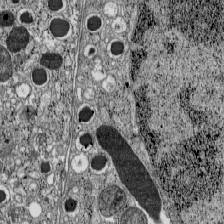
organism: C57BL Mouse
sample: Pancreatic islet